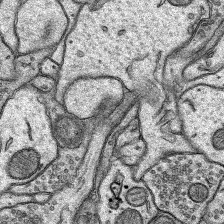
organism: Rat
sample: Hippocampus